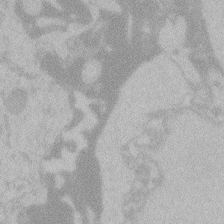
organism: Zebrafish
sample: Macrophage infected with Toxoplasma gondii